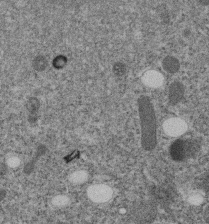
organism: C. elegans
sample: C. elegans embryo early stage